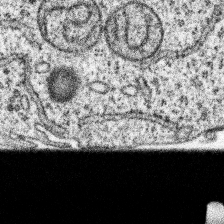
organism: Human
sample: HeLa cells